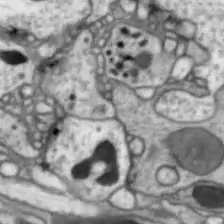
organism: Drosophila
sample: Optic lobe